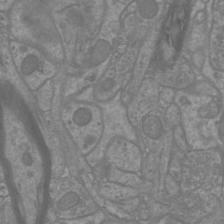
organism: Mouse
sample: Cortical neurons